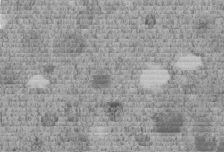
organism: C. elegans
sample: C. elegans embryo early stage